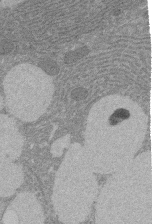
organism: Rat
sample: Salivary granule